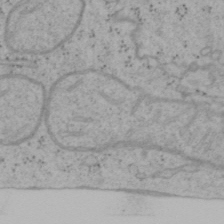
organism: Human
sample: HeLa cells